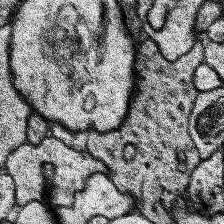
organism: Human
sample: Temporal Lobe